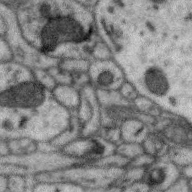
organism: Zebra finch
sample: Brain